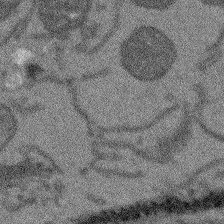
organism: Arabidopsis thaliana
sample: Root tip